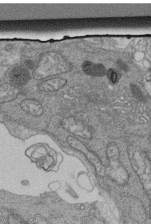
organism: Human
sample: Retinal organoid Rod and Cone cells